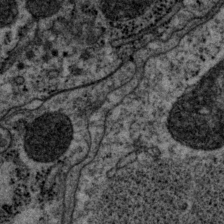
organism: P. pacificus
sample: Pharynx